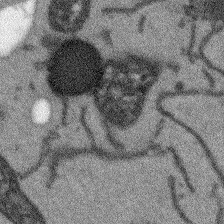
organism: Arabidopsis thaliana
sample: Root tip